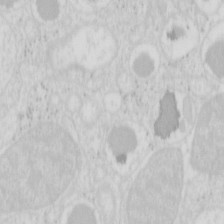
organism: Mouse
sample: Pancreas